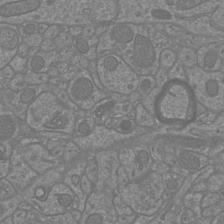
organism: Mouse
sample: Cortical neurons